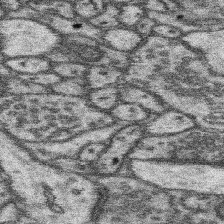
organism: Mouse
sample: Somatosensory cortex neuropil